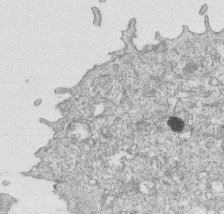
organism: Human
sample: HeLa cell HIV synapse